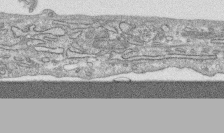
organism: Human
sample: CRL-1474